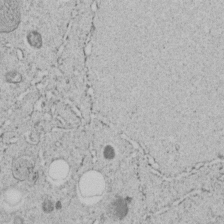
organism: C. elegans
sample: C. elegans embryo early stage